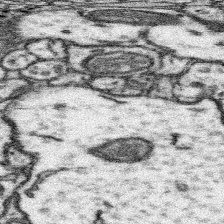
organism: Mouse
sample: Somatosensory cortex neuropil